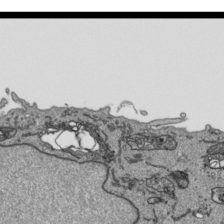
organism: Human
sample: Mitochondria in HCT116 cells